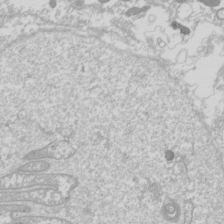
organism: Drosophila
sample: Cell division; meiosis; drosophila spermatocytes